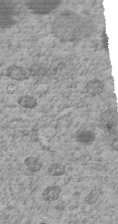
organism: C. elegans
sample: C. elegans embryo early stage